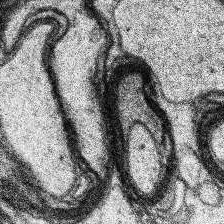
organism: Human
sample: Temporal Lobe